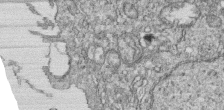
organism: Human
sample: HeLa cell HIV synapse